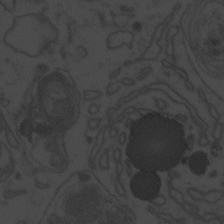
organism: Zebrafish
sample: Macrophage infected with Toxoplasma gondii